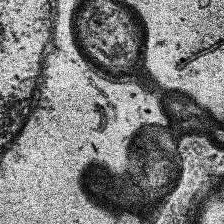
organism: Human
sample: Temporal Lobe